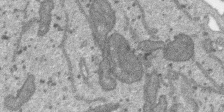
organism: Human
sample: Lung epithelial cells infected with SARS-CoV-2